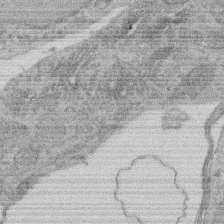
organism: Rat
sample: Salivary granule